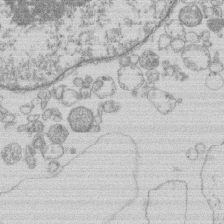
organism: Human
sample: Macrophage cells